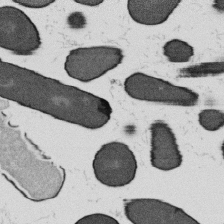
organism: B. subtilis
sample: Bacterial spore